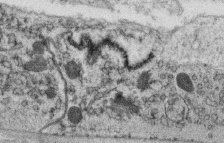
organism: C. elegans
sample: C. elegans oocyte; sperm cells